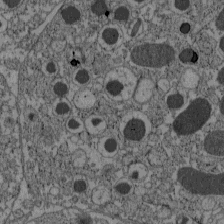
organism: C57BL Mouse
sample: Pancreatic islet